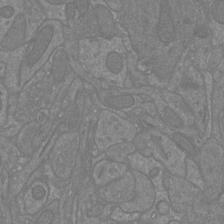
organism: Mouse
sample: Cortical neurons